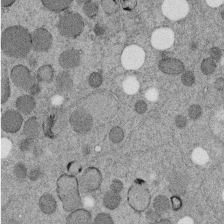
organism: C. elegans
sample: C. elegans embryo early stage